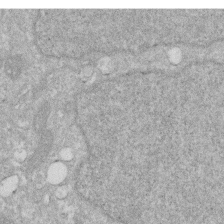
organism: Human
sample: HIV infected U937 cells